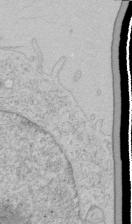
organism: Human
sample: Mitochondria in HCT116 cells